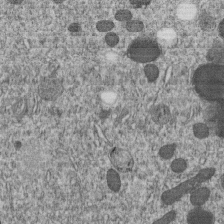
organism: C. elegans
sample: C. elegans embryo early stage